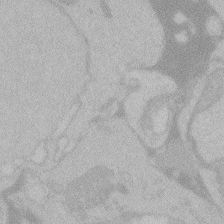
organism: Zebrafish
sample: Macrophage infected with Toxoplasma gondii